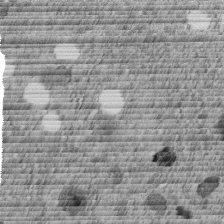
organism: C. elegans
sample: C. elegans embryo early stage